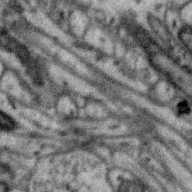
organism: Zebra finch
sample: Brain